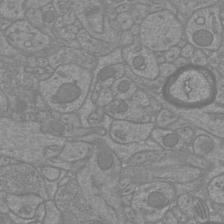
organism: Mouse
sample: Cortical neurons